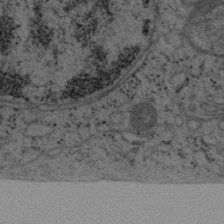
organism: Human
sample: HeLa cells